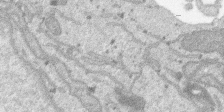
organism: Human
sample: Lung epithelial cells infected with SARS-CoV-2